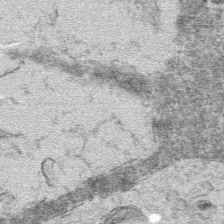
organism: Mouse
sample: Mouse hepatocytes